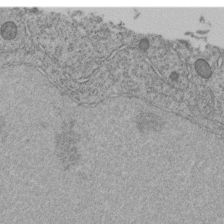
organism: C. elegans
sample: C. elegans embryo early stage